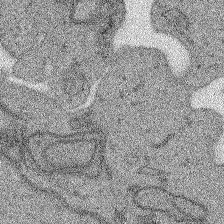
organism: Human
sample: HeLa cells